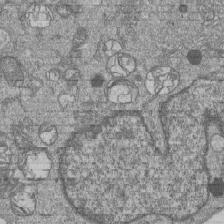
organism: Human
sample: MDA-MB-231 cells